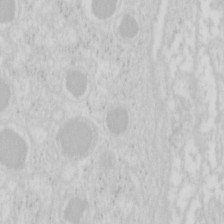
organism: Mouse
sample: Pancreas